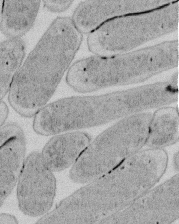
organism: E. coli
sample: Bacterial nucleoid